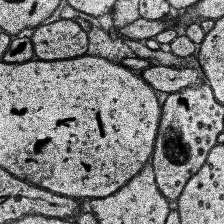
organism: Human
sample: Temporal Lobe